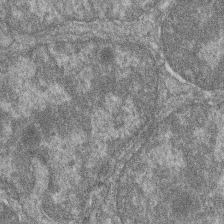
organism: Zebrafish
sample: Cilia; retinal pigment epithelium